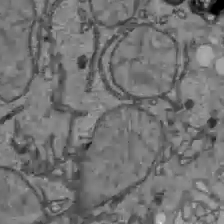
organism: C57BL Mouse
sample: Liver